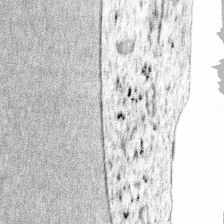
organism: Human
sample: HeLa cells